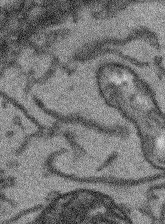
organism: Arabidopsis thaliana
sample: Root tip